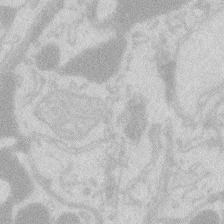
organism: Zebrafish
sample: Macrophage